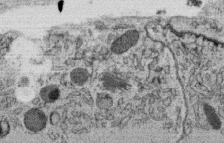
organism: C. elegans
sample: C. elegans oocyte; sperm cells